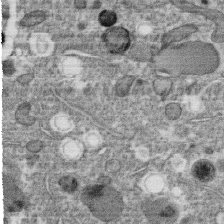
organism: C. elegans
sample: C. elegans oocyte; sperm cells